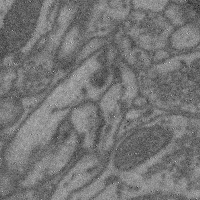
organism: Mouse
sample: Cerebral cortex